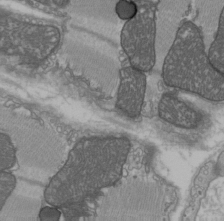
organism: C57BL Mouse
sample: Heart